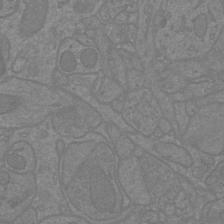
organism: Mouse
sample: Cortical neurons